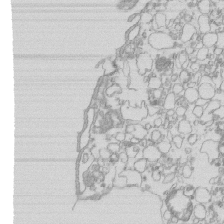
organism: Mouse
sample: Macrophages